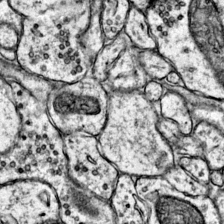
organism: Mouse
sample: Primary visual cortex